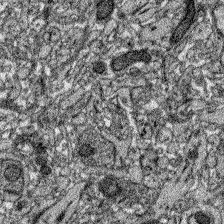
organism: Zebrafish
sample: Larval olfactory bulb